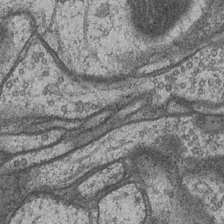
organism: Drosophila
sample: Optic medulla